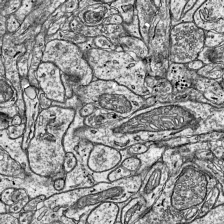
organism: Mouse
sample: Visual Cortex